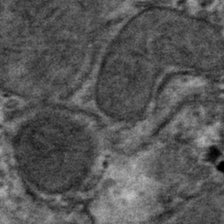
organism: Mouse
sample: Mouse hepatocytes